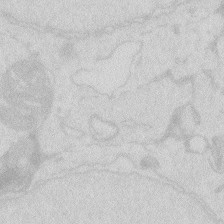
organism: Zebrafish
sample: Macrophage